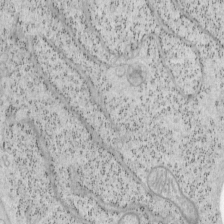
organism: Mouse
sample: OT-I killer T cells with ID8 ovarian cancer cells